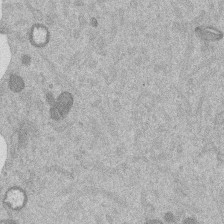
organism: Mouse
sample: Dividing mouse embryo 1 cell stage